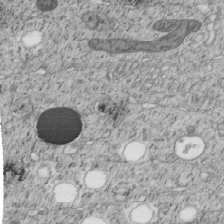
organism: C. elegans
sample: C. elegans embryo early stage